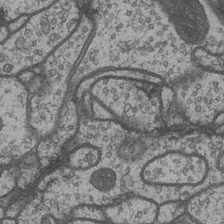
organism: Drosophila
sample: Optic medulla